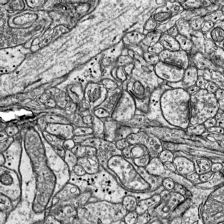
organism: Mouse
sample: Visual Cortex